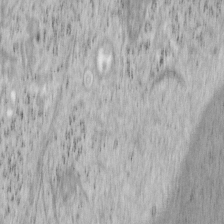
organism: Human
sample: HeLa cells